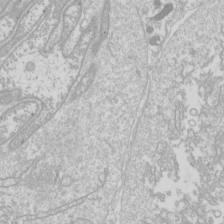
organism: Drosophila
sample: Cell division; meiosis; drosophila spermatocytes